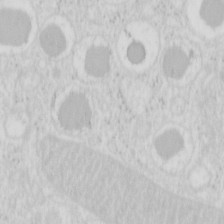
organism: Mouse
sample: Pancreas